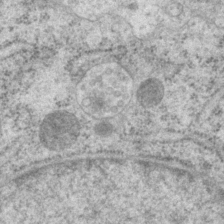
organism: P. pacificus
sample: Pharynx